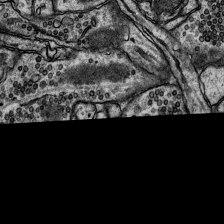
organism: Rat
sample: Hippocampus